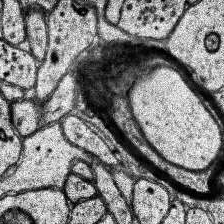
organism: Human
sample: Temporal Lobe